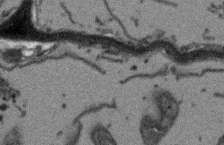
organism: Arabidopsis thaliana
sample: Root tip